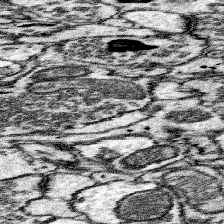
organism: Mouse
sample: Somatosensory cortex neuropil